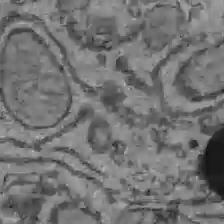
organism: C57BL Mouse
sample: Liver